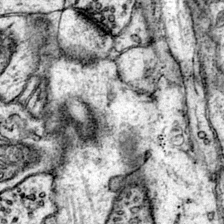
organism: Mouse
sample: Primary visual cortex